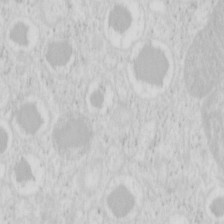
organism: Mouse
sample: Pancreas